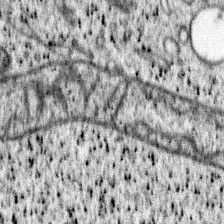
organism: Human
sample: HeLa cells